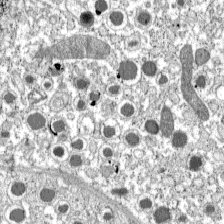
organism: C57BL Mouse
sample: Pancreatic islet